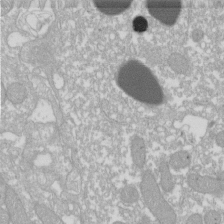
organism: Xenopus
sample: Cilia; centrioles in frog embryo cells